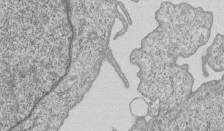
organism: Human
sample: MDA-MB-231 cells